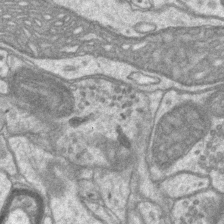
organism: Mouse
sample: CA1 Hippocampus